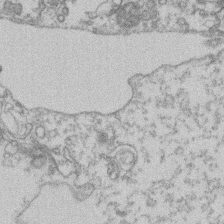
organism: Mouse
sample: T cell stromal cell synapse